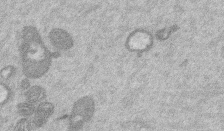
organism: Mouse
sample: Dividing mouse embryo 1 cell stage